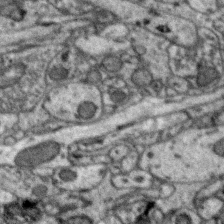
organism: Zebra finch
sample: Brain